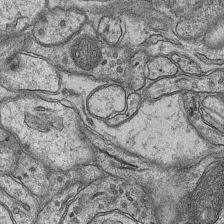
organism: Mouse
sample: CA1 Hippocampus